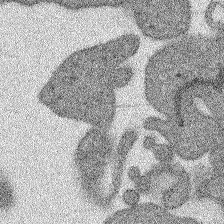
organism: Human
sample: HeLa cells